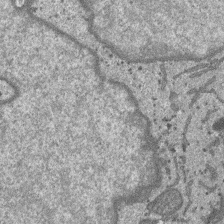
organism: Human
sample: Lung epithelial cells infected with SARS-CoV-2